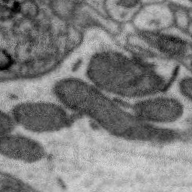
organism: Zebra finch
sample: Brain